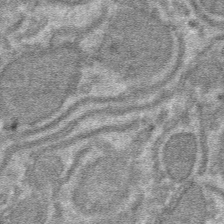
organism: Mouse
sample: Mouse hepatocytes